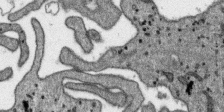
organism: Human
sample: Lung epithelial cells, uninfected (mock) control